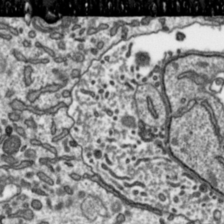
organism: Toxoplasma gondii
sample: Parasites in a vacuole inside a host cell